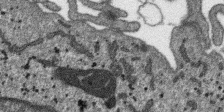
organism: Human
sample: Lung epithelial cells infected with SARS-CoV-2